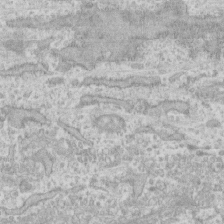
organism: Human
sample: CRL-1474